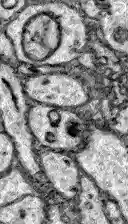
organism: Zebrafish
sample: Brain